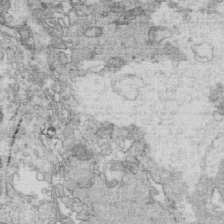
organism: Mouse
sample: Multiciliated cells